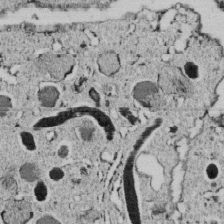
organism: C. elegans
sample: C. elegans embryo early stage